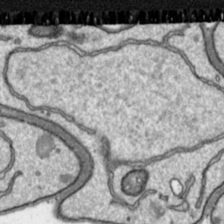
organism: Toxoplasma gondii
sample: Parasites in a vacuole inside a host cell